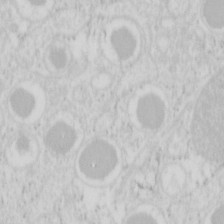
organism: Mouse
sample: Pancreas